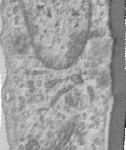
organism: Human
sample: Centriole in RPE cells